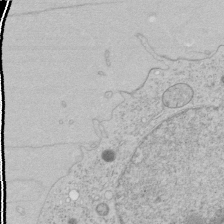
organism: Human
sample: Mitochondria in HCT116 cells